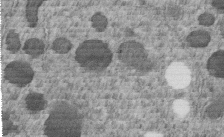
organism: C. elegans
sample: C. elegans embryo early stage